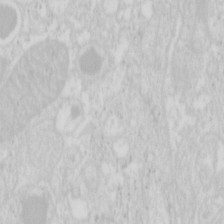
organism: Mouse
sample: Pancreas